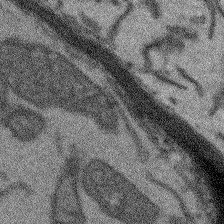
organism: Arabidopsis thaliana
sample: Root tip